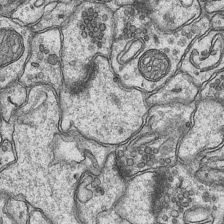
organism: Mouse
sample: CA1 Hippocampus